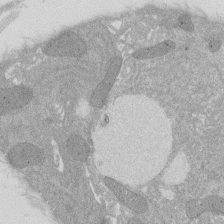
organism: Rat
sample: Salivary granule